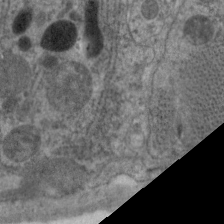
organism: C. elegans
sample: Pharynx